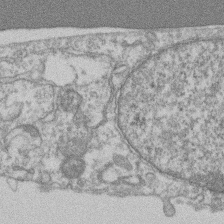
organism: Mouse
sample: T cell stromal cell synapse